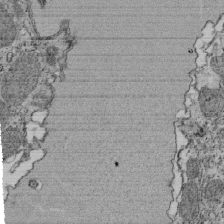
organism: Tetrahymena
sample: Cilia in tetrahymena